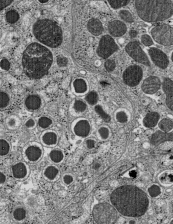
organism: C57BL Mouse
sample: Pancreatic islet